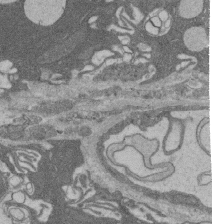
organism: Rat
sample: Salivary granule